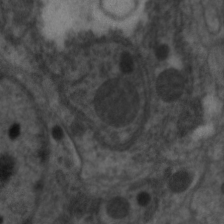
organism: C. elegans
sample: Pharynx